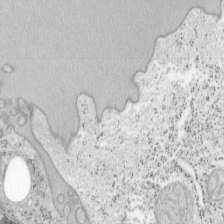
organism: Mouse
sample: OT-I killer T cells with ID8 ovarian cancer cells